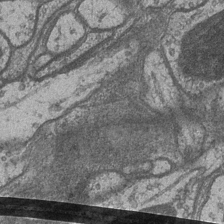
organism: Drosophila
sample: Optic medulla